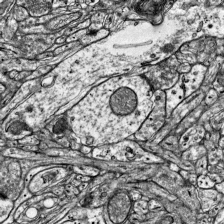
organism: Mouse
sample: Visual Cortex